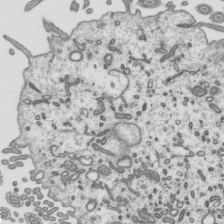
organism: Mouse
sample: Mouse epididymis efferent ductule cilia